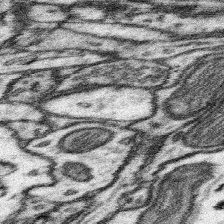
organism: Mouse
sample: Somatosensory cortex neuropil